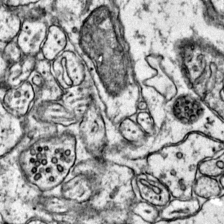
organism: Mouse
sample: Primary visual cortex